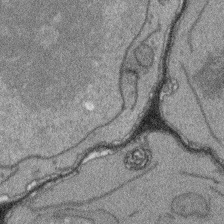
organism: Arabidopsis thaliana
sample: Root tip